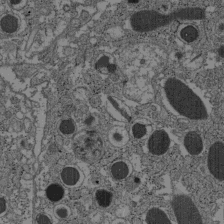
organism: C57BL Mouse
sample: Pancreatic islet